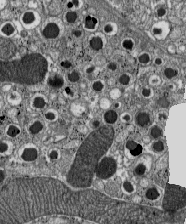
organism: C57BL Mouse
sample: Pancreatic islet